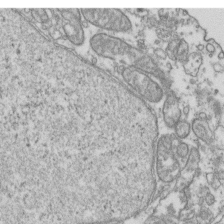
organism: Human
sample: Activated Jurkat CD4+ T cells